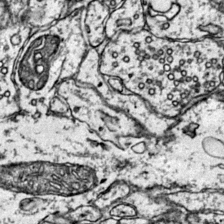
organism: Mouse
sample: Primary visual cortex